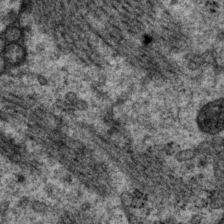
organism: P. pacificus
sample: Pharynx